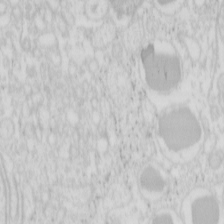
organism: Mouse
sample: Pancreas